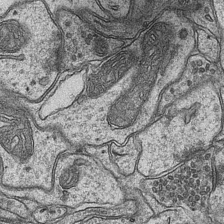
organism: Mouse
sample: CA1 Hippocampus